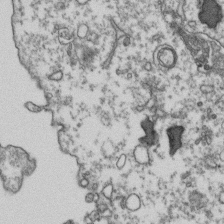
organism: Human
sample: Activated Jurkat CD4+ T cells